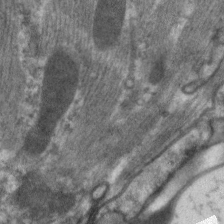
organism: C. elegans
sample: Pharynx